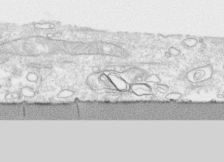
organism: Human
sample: CRL-1474